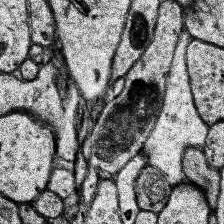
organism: Human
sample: Temporal Lobe